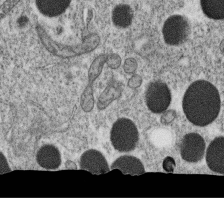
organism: C. elegans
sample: C. elegans oocyte; sperm cells